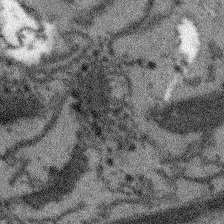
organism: Arabidopsis thaliana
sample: Root tip